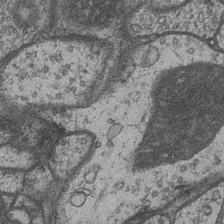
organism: Drosophila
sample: Optic medulla